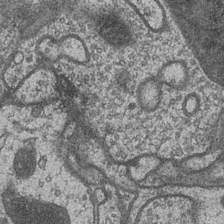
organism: Drosophila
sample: Optic medulla